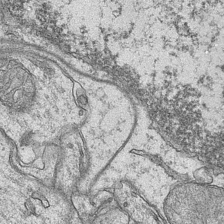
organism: Mouse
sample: CA1 Hippocampus